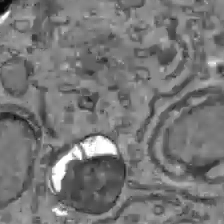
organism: C57BL Mouse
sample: Liver